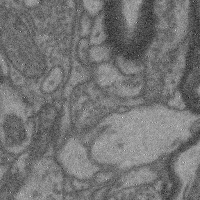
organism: Mouse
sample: Cerebral cortex